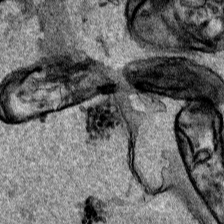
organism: Human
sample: Mitochondria in HCT116 cells